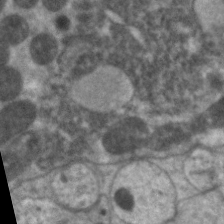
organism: C. elegans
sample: Pharynx